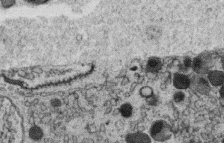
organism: C. elegans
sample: C. elegans oocyte; sperm cells